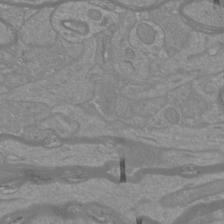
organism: Mouse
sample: Cortical neurons